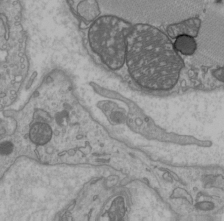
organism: C57BL Mouse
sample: Heart